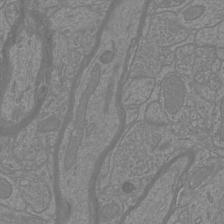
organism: Mouse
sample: Cortical neurons